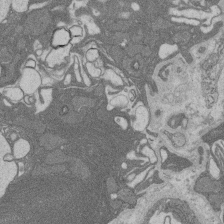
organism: Rat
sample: Salivary granule